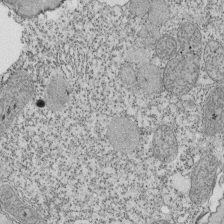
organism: Tetrahymena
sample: Cilia in tetrahymena